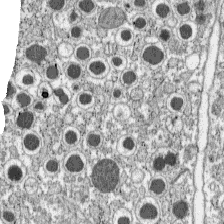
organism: C57BL Mouse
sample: Pancreatic islet